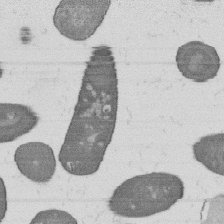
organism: B. subtilis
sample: Bacterial spore